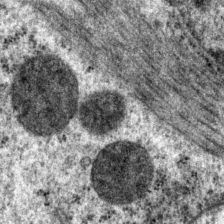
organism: P. pacificus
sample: Pharynx